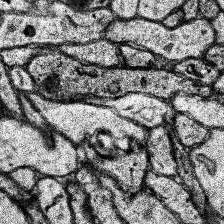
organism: Human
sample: Temporal Lobe